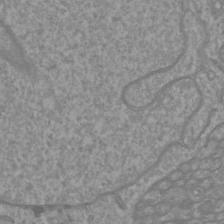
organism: Mouse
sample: Cortical neurons